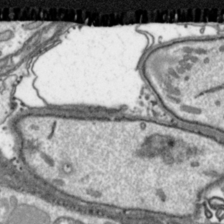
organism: Toxoplasma gondii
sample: Parasites in a vacuole inside a host cell